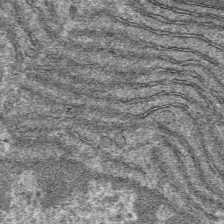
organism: Mouse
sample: Mouse hepatocytes